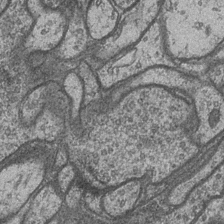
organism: Drosophila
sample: Optic medulla